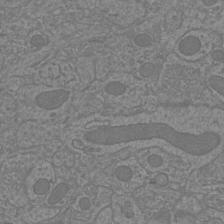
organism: Mouse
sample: Cortical neurons